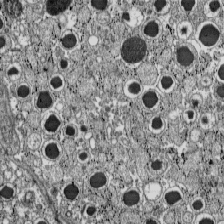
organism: C57BL Mouse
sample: Pancreatic islet